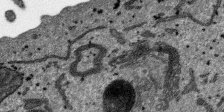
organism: Human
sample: Lung epithelial cells, uninfected (mock) control